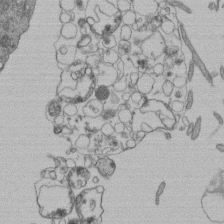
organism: Human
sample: Retinal organoid Rod and Cone cells